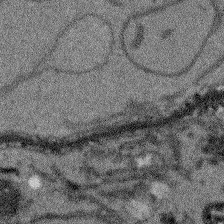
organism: Arabidopsis thaliana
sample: Root tip